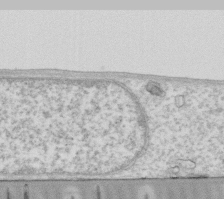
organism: Human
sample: Fibroblast cells